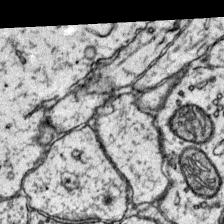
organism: Mouse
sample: Primary visual cortex